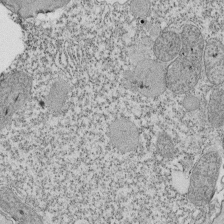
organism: Tetrahymena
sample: Cilia in tetrahymena